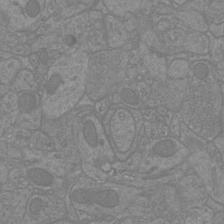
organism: Mouse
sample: Cortical neurons